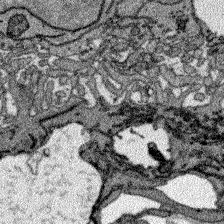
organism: Zebrafish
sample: Larval olfactory bulb